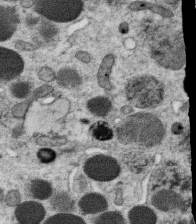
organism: C. elegans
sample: C. elegans oocyte; sperm cells